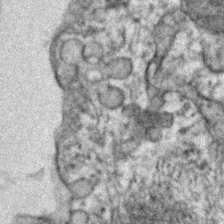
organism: Human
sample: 1205lu cells